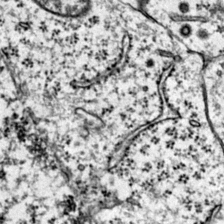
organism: Mouse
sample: Primary visual cortex